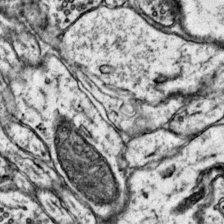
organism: Mouse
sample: Primary visual cortex